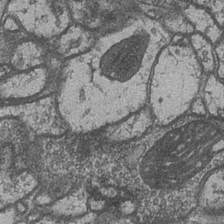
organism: Drosophila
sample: Optic medulla